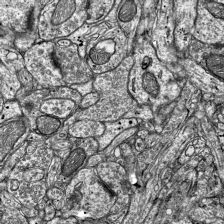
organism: Mouse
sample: Visual Cortex